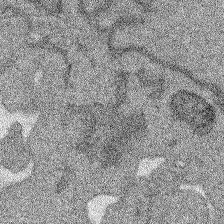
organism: Human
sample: HeLa cells